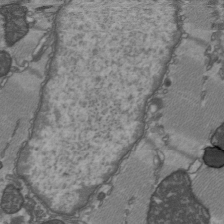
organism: C57BL Mouse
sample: Heart